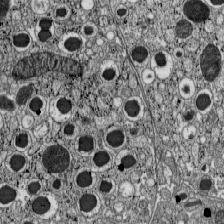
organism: C57BL Mouse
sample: Pancreatic islet